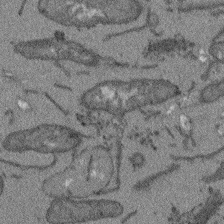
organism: Arabidopsis thaliana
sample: Root tip